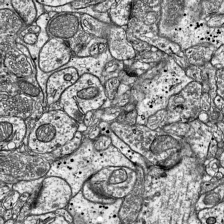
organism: Mouse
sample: Visual Cortex